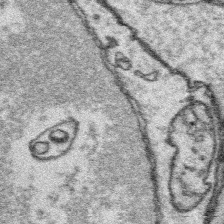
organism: Platynereis dumerilii